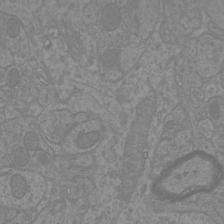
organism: Mouse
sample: Cortical neurons